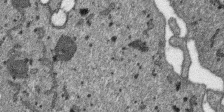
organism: Human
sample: Lung epithelial cells infected with SARS-CoV-2